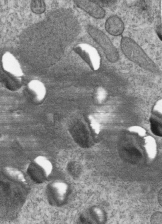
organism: C. elegans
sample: C. elegans embryo early stage